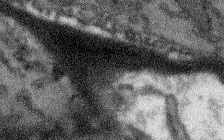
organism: Arabidopsis thaliana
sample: Root tip